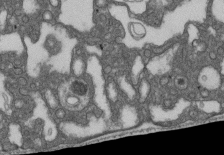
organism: Drosophila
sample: Nephrocyte